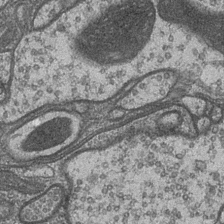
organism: Drosophila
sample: Optic medulla